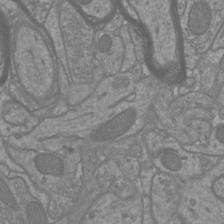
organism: Mouse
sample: Cortical neurons